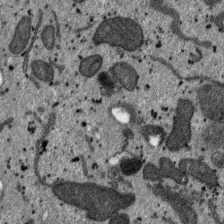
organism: Human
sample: Lung epithelial cells, uninfected (mock) control